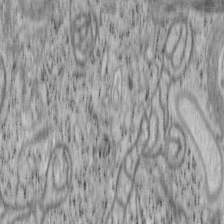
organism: Human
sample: HeLa cells